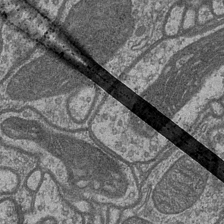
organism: Drosophila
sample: Optic medulla